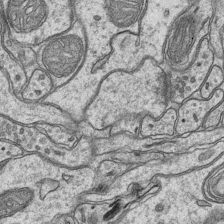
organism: Mouse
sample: CA1 Hippocampus